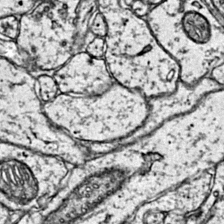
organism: Mouse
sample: Primary visual cortex